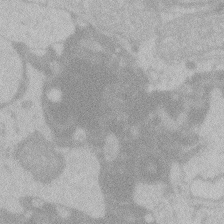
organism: Zebrafish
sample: Macrophage infected with Toxoplasma gondii